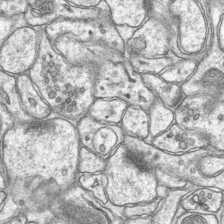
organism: Mouse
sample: CA1 Hippocampus